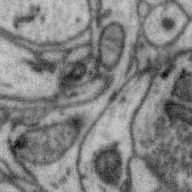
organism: Zebra finch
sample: Brain